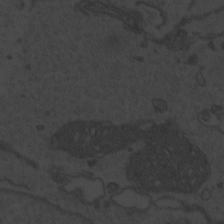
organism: Zebrafish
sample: Macrophage infected with Toxoplasma gondii